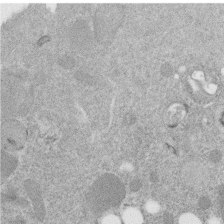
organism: C. elegans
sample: C. elegans embryo early stage